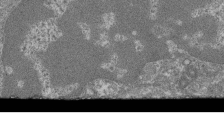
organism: Mouse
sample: Glomerulus